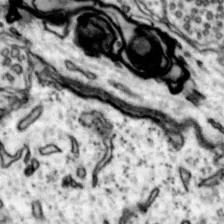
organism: Mouse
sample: Nucleus accumbens